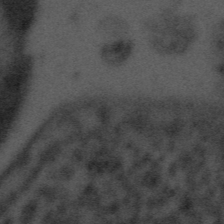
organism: Tuwongella immobilis